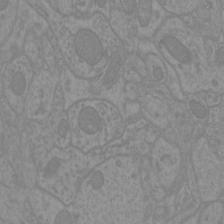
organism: Mouse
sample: Cortical neurons